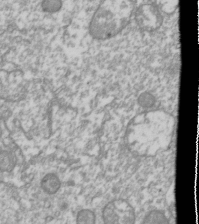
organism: Drosophila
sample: Cell division; meiosis; drosophila spermatocytes